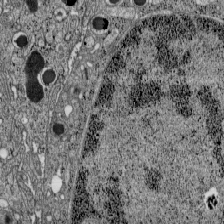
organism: C57BL Mouse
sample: Pancreatic islet